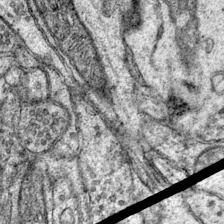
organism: Mouse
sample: Primary visual cortex